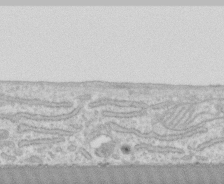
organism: Human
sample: CRL-1474